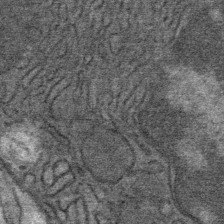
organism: Mouse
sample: Mouse Salivary gland